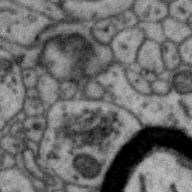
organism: Zebra finch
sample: Brain